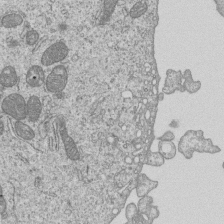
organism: Human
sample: MDA-MB-231 cells